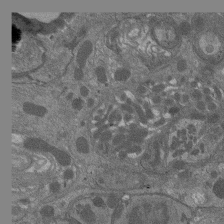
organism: Drosophila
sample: Antenna